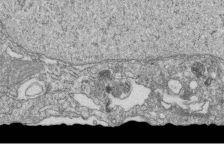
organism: Human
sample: HeLa cell HIV synapse